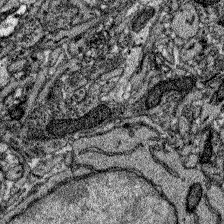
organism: Zebrafish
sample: Larval olfactory bulb